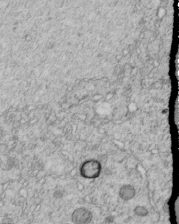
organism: C. elegans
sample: C. elegans embryo early stage